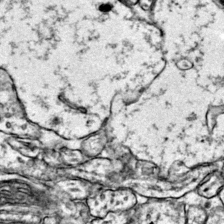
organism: Mouse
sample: Primary visual cortex